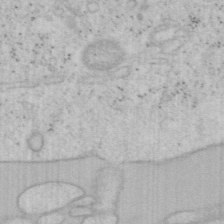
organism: Human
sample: HeLa cells